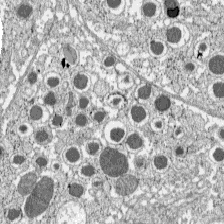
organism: C57BL Mouse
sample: Pancreatic islet